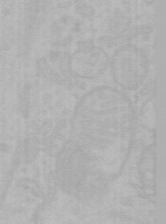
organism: Mouse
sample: Choroid plexus